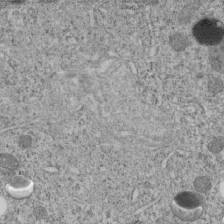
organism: C. elegans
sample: C. elegans embryo early stage